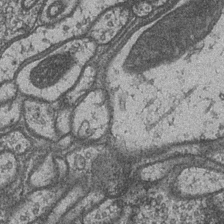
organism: Drosophila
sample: Optic medulla